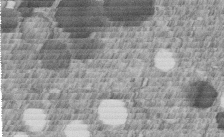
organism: C. elegans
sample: C. elegans embryo early stage